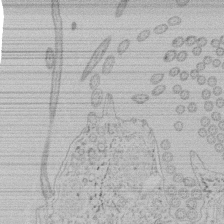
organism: Tetrahymena